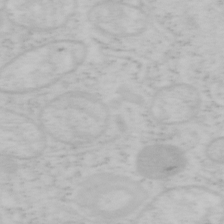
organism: Mouse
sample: OT-I killer T cells with ID8 ovarian cancer cells